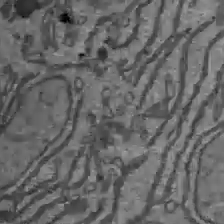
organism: C57BL Mouse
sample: Liver